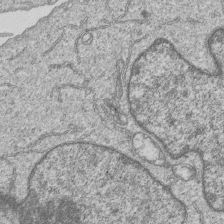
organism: Human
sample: MDA-MB-231 cells